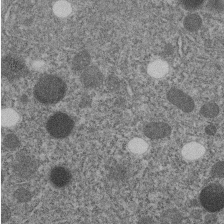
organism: C. elegans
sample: C. elegans embryo early stage